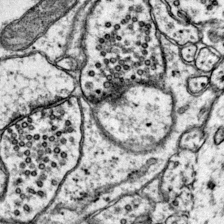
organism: Mouse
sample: Primary visual cortex